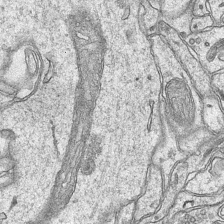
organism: Mouse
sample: CA1 Hippocampus